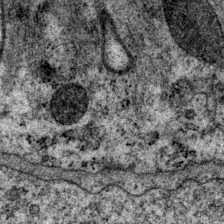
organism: P. pacificus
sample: Pharynx